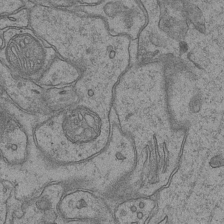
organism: Mouse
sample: CA1 Hippocampus